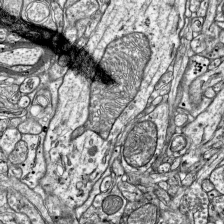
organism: Mouse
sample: Visual Cortex